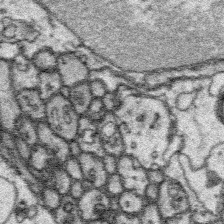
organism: Platynereis dumerilii